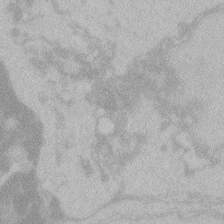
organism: Zebrafish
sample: Macrophage infected with Toxoplasma gondii